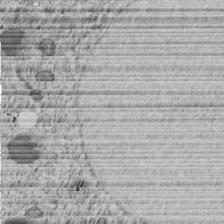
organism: C. elegans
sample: C. elegans embryo early stage